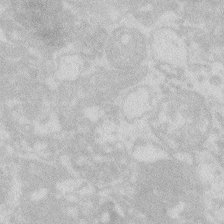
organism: Zebrafish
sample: Macrophage